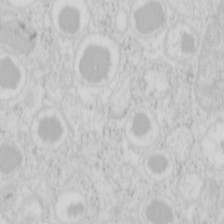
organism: Mouse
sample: Pancreas